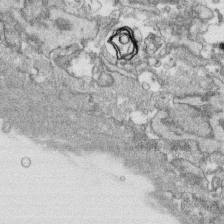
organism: Human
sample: CRL-1474